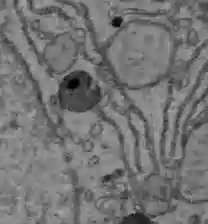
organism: C57BL Mouse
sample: Liver